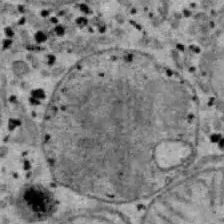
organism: Mouse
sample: Liver from an obese (ob/ob) mouse